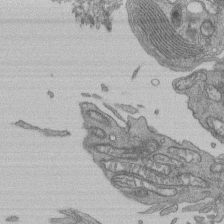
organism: Human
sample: Retinal organoid Rod and Cone cells